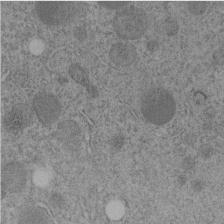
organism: C. elegans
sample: C. elegans embryo early stage